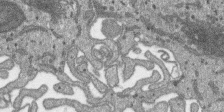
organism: Human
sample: Lung epithelial cells infected with SARS-CoV-2